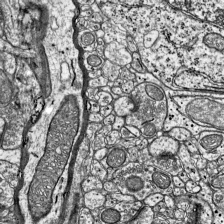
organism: Mouse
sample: Visual Cortex